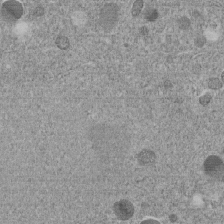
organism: C. elegans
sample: C. elegans embryo early stage